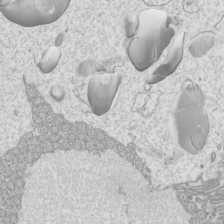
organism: Mouse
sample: Cilia; mouse epididymis